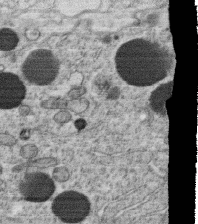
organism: C. elegans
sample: C. elegans oocyte; sperm cells